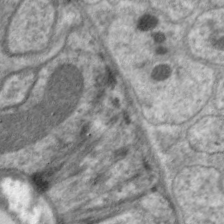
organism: C. elegans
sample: Pharynx